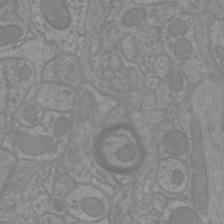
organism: Mouse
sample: Cortical neurons